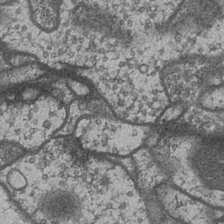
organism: Drosophila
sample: Optic medulla